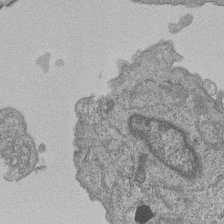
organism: Human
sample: MDA-MB-231 cells